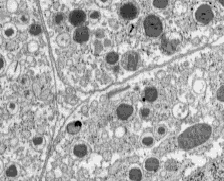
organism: C57BL Mouse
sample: Pancreatic islet